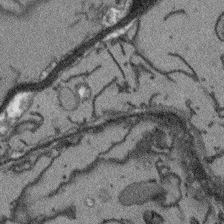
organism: Arabidopsis thaliana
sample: Root tip